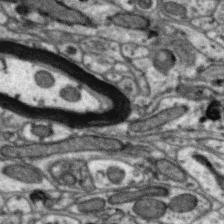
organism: Zebra finch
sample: Brain